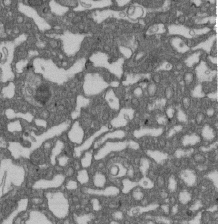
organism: Drosophila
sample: Nephrocyte